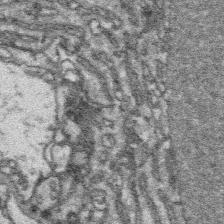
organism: Platynereis dumerilii